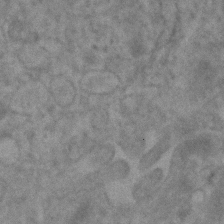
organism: Human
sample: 1205lu cells